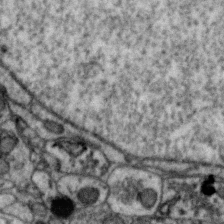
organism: Zebra finch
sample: Brain